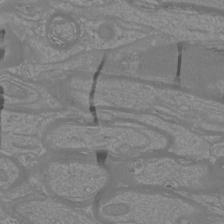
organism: Mouse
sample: Cortical neurons